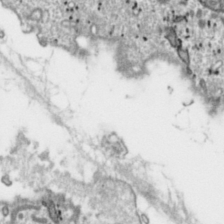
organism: Toxoplasma gondii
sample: Parasites in a vacuole inside a host cell